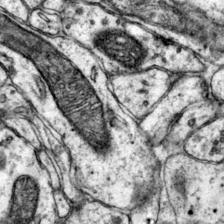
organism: Mouse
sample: Primary visual cortex